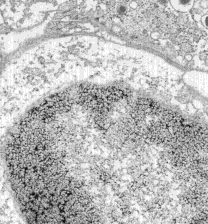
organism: C57BL Mouse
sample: Pancreatic islet